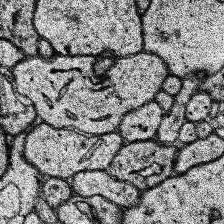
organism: Human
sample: Temporal Lobe